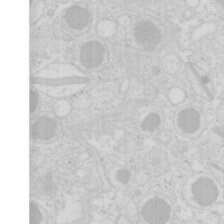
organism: Mouse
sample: Pancreas